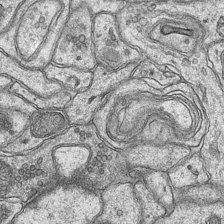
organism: Mouse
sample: CA1 Hippocampus